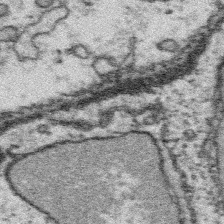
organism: Platynereis dumerilii